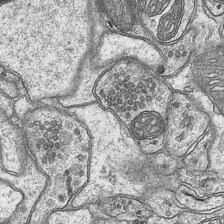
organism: Mouse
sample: CA1 Hippocampus